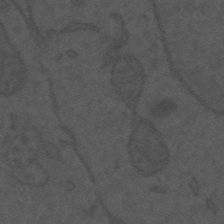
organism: Mouse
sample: Suprachiasmatic nucleus